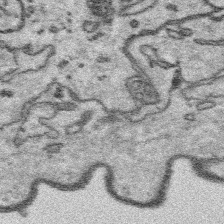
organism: Platynereis dumerilii